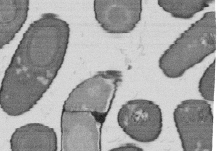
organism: B. subtilis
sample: Bacterial spore